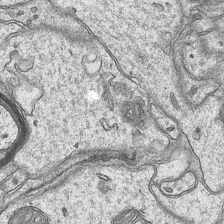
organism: Mouse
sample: CA1 Hippocampus